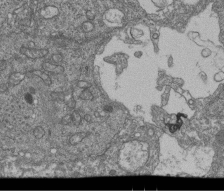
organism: Human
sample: Retinal organoid Rod and Cone cells